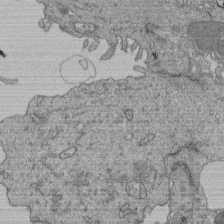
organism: Human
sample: Retinal organoid Rod and Cone cells